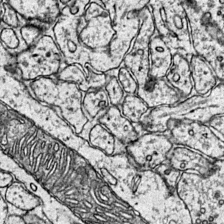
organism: Mouse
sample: Primary visual cortex